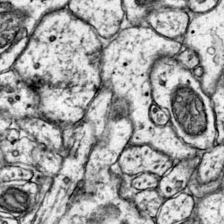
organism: Mouse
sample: Primary visual cortex